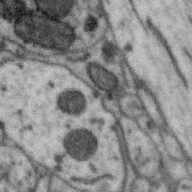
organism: Zebra finch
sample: Brain